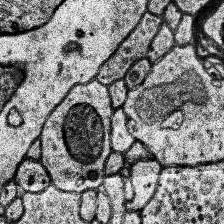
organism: Human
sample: Temporal Lobe